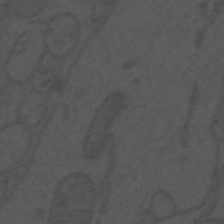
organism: Mouse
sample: Suprachiasmatic nucleus